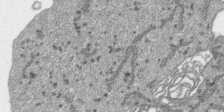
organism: Human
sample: Lung epithelial cells infected with SARS-CoV-2